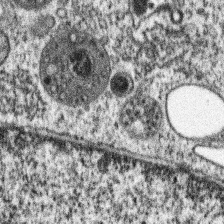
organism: Human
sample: HeLa cells